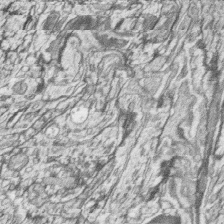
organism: Zebrafish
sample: synaptic ribbons in rod cells and cone cells